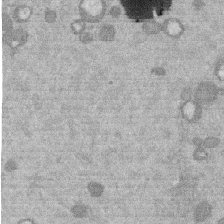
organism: Mouse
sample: Dividing mouse embryo 1 cell stage